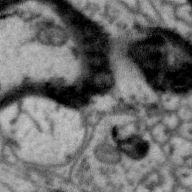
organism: Zebra finch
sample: Brain